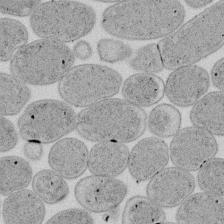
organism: E. coli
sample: Bacterial nucleoid